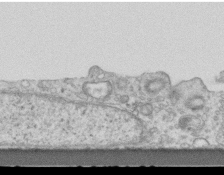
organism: Mouse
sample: Centriole in ependymal cells